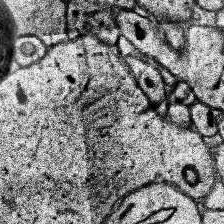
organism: Human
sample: Temporal Lobe